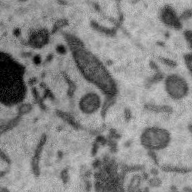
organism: Zebra finch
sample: Brain